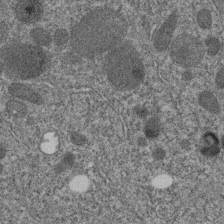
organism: C. elegans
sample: C. elegans embryo early stage